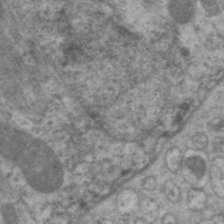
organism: C. elegans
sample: Pharynx